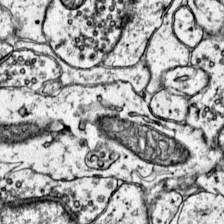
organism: Mouse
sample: Primary visual cortex